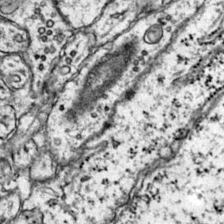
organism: Mouse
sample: Primary visual cortex